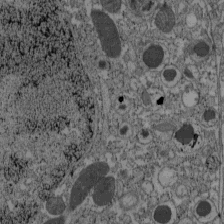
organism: C57BL Mouse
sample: Pancreatic islet